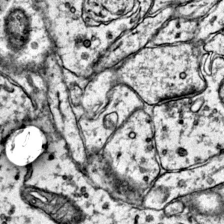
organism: Mouse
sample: Primary visual cortex